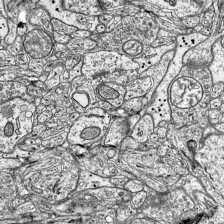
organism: Mouse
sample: Visual Cortex